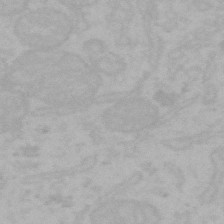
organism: Mouse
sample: Choroid plexus